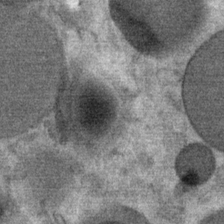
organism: Mouse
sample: Mouse Salivary gland